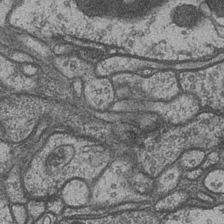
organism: Drosophila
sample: Optic medulla